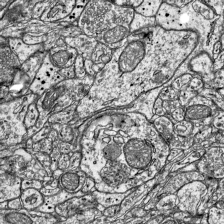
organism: Mouse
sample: Visual Cortex